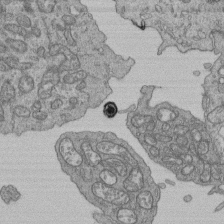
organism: Human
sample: Retinal organoid Rod and Cone cells